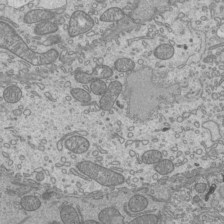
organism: Mouse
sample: Cilia; mouse epididymis